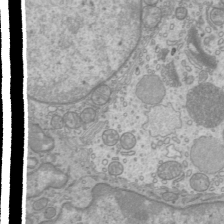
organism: Mouse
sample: Cilia; mouse epididymis